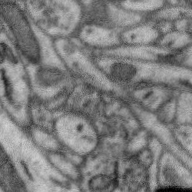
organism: Zebra finch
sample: Brain